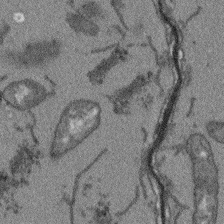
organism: Arabidopsis thaliana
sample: Root tip